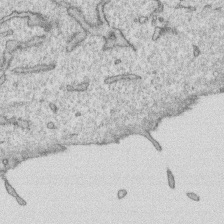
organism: Human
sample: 1205lu cells